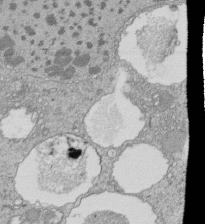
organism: Tetrahymena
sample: Cilia in tetrahymena